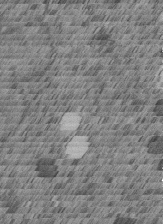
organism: C. elegans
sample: C. elegans embryo early stage